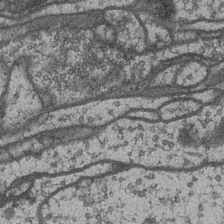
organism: Drosophila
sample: Optic medulla